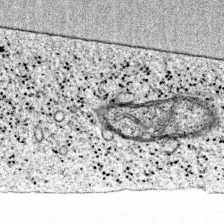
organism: Human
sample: HeLa cells